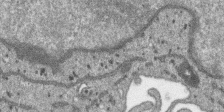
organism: Human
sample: Lung epithelial cells infected with SARS-CoV-2